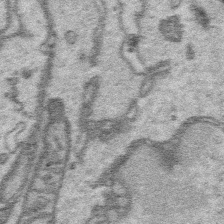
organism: Platynereis dumerilii